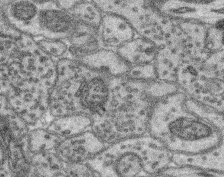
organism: Mouse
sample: Retina